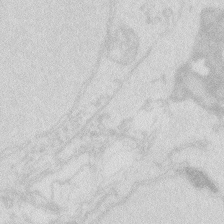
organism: Zebrafish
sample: Macrophage